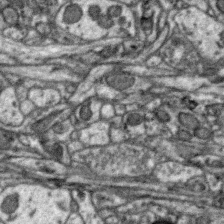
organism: Zebra finch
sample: Brain